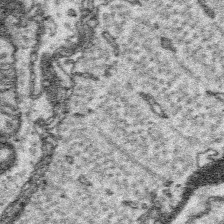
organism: Platynereis dumerilii